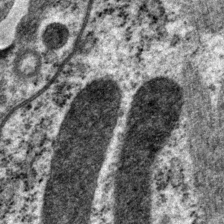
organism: P. pacificus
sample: Pharynx